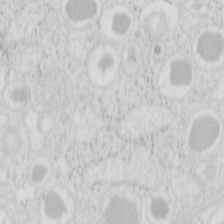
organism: Mouse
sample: Pancreas